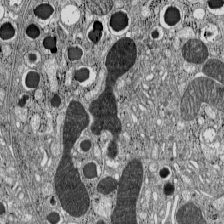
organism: C57BL Mouse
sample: Pancreatic islet